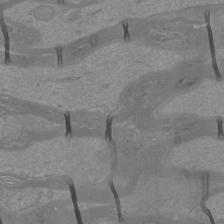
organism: Mouse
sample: Cortical neurons